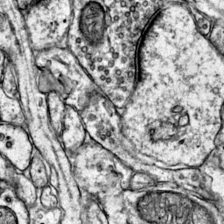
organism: Mouse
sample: Primary visual cortex